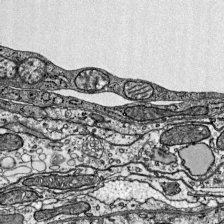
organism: Mouse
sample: Visual Cortex